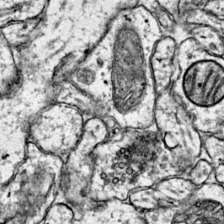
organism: Mouse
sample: Primary visual cortex